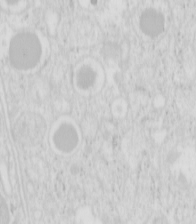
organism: Mouse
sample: Pancreas